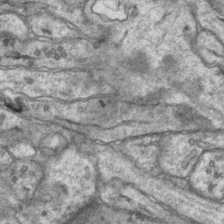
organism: Mouse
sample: CA1 Hippocampus